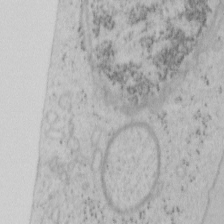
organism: Human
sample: HeLa cells